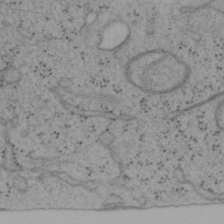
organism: Human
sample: HeLa cells